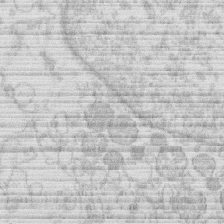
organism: Human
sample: Macrophage cells